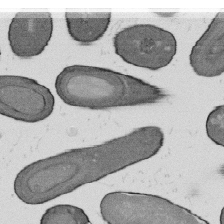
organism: B. subtilis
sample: Bacterial spore